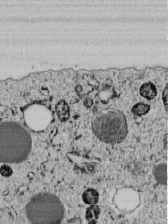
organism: C. elegans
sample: C. elegans embryo early stage